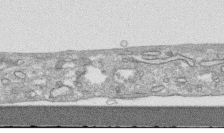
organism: Human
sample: CRL-1474